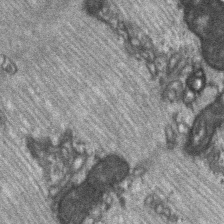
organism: C57BL Mouse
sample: Soleus